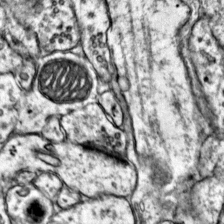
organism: Mouse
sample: Primary visual cortex